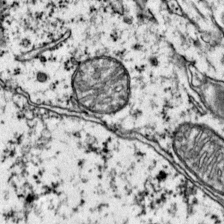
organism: Mouse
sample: Primary visual cortex